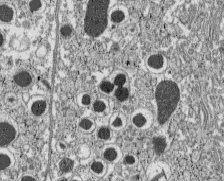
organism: C57BL Mouse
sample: Pancreatic islet